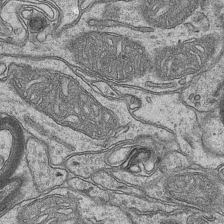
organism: Mouse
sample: CA1 Hippocampus